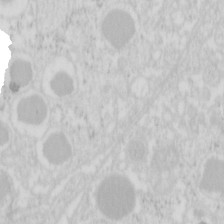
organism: Mouse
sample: Pancreas